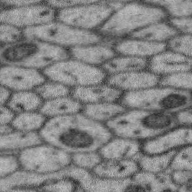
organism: Zebra finch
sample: Brain